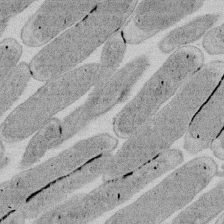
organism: E. coli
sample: Bacterial nucleoid